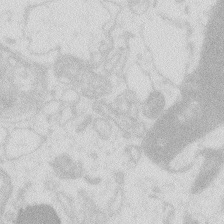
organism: Zebrafish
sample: Macrophage